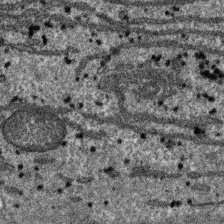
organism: Human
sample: Lung epithelial cells infected with SARS-CoV-2